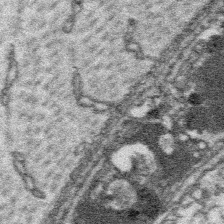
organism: Platynereis dumerilii